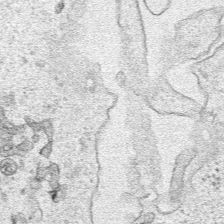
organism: Human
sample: Mitochondria in HCT116 cells